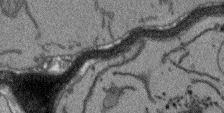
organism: Arabidopsis thaliana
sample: Root tip